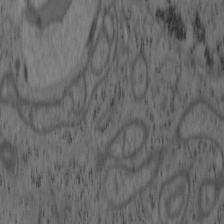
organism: Human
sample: HeLa cells